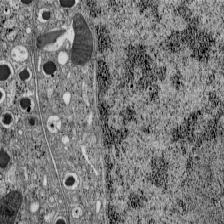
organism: C57BL Mouse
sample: Pancreatic islet